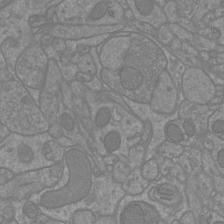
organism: Mouse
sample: Cortical neurons